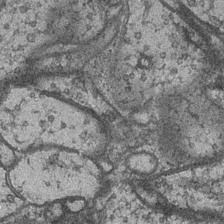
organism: Drosophila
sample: Optic medulla